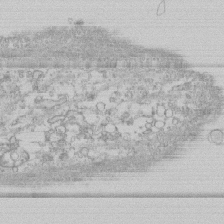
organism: Human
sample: CRL-1474